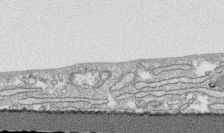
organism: Human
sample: CRL-1474